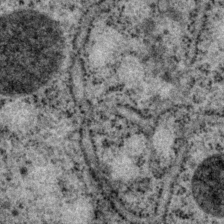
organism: P. pacificus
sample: Pharynx